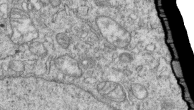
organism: Human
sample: HeLa cell HIV synapse